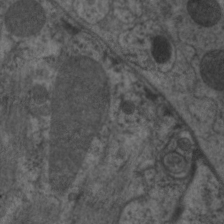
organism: C. elegans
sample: Pharynx